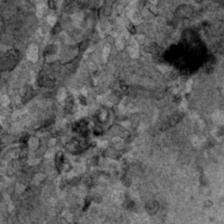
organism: Human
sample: Mitochondria in HCT116 cells